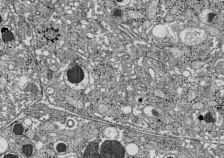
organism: C57BL Mouse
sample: Pancreatic islet